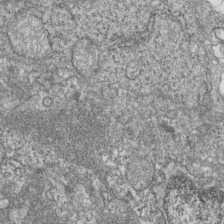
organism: Zebrafish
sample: Cilia; retinal pigment epithelium